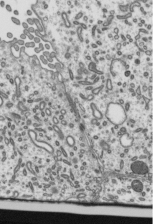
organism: Mouse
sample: Mouse epididymis efferent ductule cilia